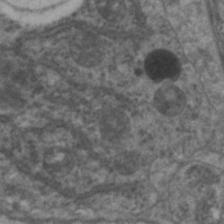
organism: C. elegans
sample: Pharynx